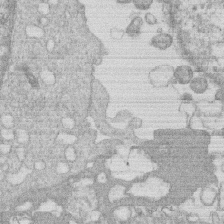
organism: Human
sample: Macrophage cells